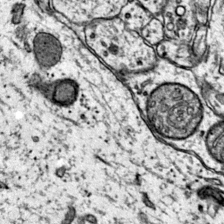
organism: Mouse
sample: Primary visual cortex